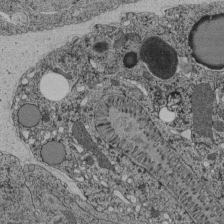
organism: C. elegans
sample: C. elegans pharynx